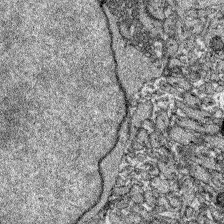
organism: Zebrafish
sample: Larval olfactory bulb